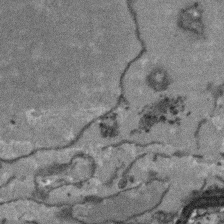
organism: Arabidopsis thaliana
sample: Root tip